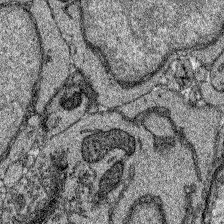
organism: Zebrafish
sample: Larval olfactory bulb